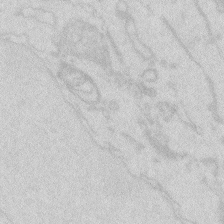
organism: Zebrafish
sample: Macrophage